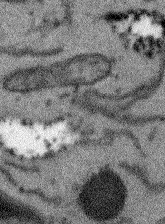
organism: Arabidopsis thaliana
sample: Root tip